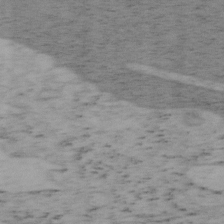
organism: Mouse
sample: OT-I killer T cells with ID8 ovarian cancer cells